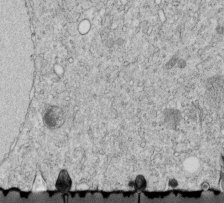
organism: C. elegans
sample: C. elegans embryo early stage